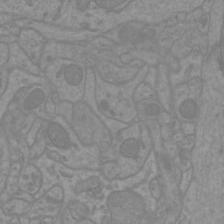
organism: Mouse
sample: Cortical neurons